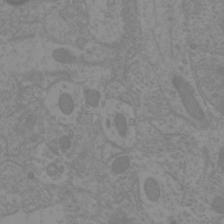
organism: Mouse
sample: Cortical neurons